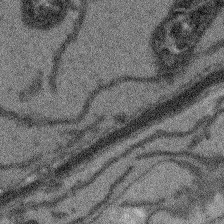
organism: Arabidopsis thaliana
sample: Root tip